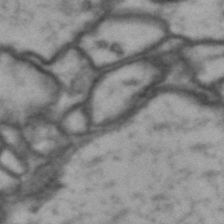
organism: Drosophila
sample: Brain